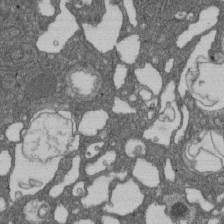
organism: Drosophila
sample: Nephrocyte